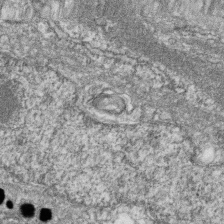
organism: Zebrafish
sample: Cilia; retinal pigment epithelium